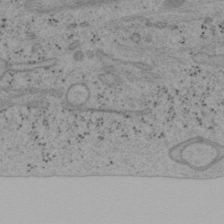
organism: Human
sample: HeLa cells